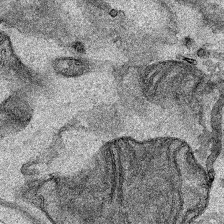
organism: Human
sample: Mitochondria in HCT116 cells